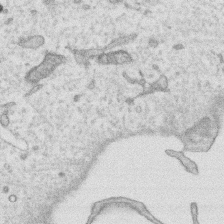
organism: Human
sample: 1205lu cells